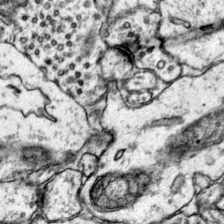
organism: Mouse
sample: Primary visual cortex